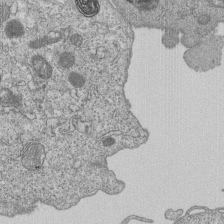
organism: Human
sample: MDA-MB-231 cells